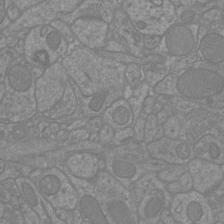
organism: Mouse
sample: Cortical neurons